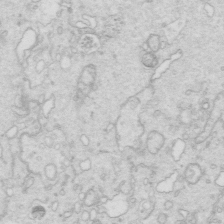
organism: Mouse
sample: Multiciliated cells